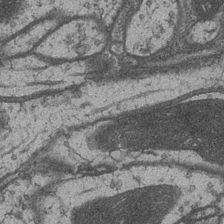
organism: Drosophila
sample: Optic medulla